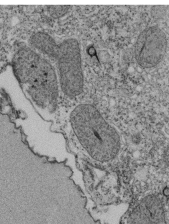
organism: Tetrahymena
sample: Cilia in tetrahymena